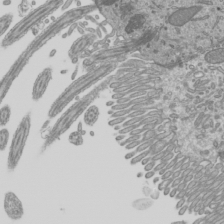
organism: Mouse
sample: Cilia; mouse epididymis